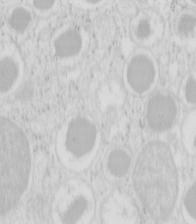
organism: Mouse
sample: Pancreas